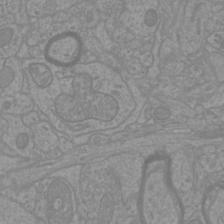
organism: Mouse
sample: Cortical neurons